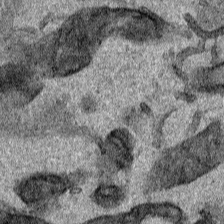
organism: Human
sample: Mitochondria in HCT116 cells